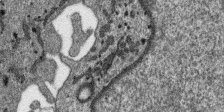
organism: Human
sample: Lung epithelial cells infected with SARS-CoV-2